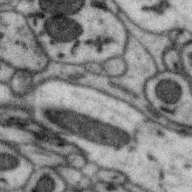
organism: Zebra finch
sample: Brain